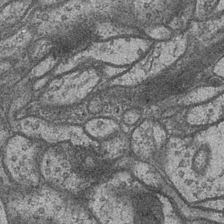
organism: Drosophila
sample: Optic medulla